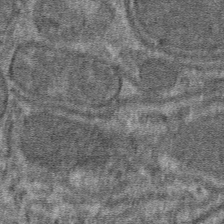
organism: Mouse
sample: Mouse hepatocytes